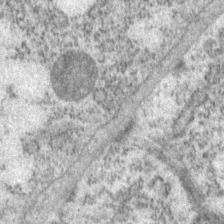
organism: P. pacificus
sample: Pharynx